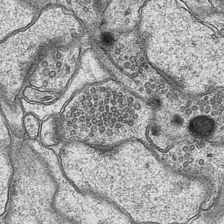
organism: Mouse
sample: CA1 Hippocampus